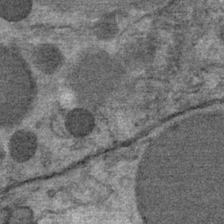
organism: Mouse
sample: Mouse Salivary gland